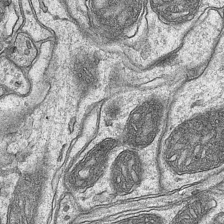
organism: Mouse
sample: CA1 Hippocampus